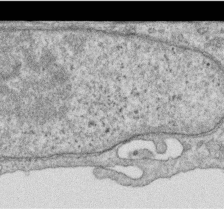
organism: Human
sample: Centriole in RPE cells